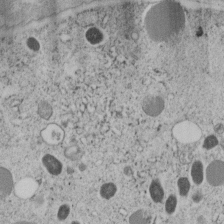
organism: C. elegans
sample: C. elegans embryo early stage